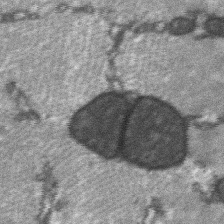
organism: C57BL Mouse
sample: Soleus